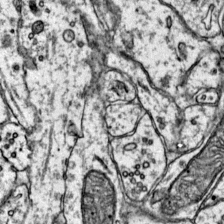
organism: Mouse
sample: Primary visual cortex